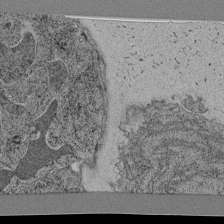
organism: C. elegans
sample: C. elegans pharynx